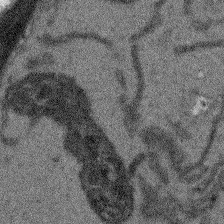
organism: Arabidopsis thaliana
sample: Root tip